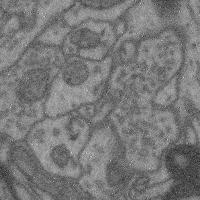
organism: Mouse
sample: Cerebral cortex